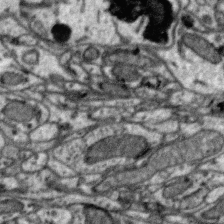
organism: Zebra finch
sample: Brain